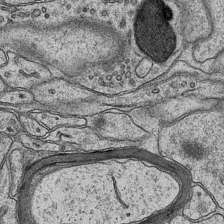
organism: Mouse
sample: CA1 Hippocampus